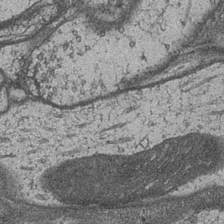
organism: Drosophila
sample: Optic medulla